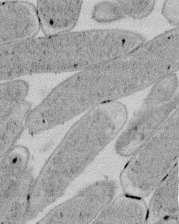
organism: E. coli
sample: Bacterial nucleoid